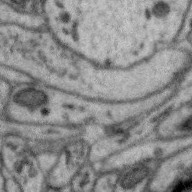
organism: Zebra finch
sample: Brain